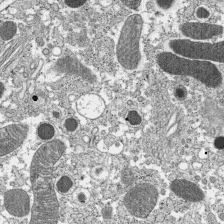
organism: C57BL Mouse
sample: Pancreatic islet